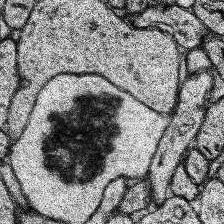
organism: Human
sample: Temporal Lobe